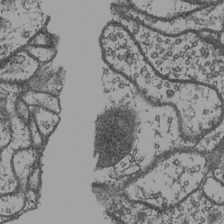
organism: Drosophila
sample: Optic medulla